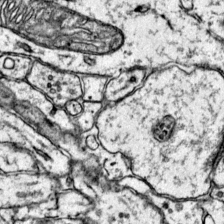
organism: Mouse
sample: Primary visual cortex